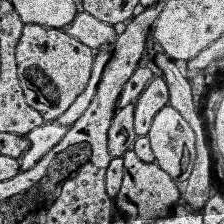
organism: Human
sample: Temporal Lobe